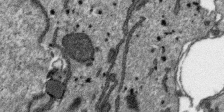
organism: Human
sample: Lung epithelial cells, uninfected (mock) control